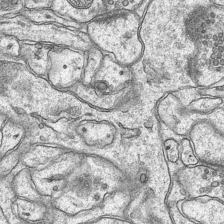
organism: Mouse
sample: CA1 Hippocampus